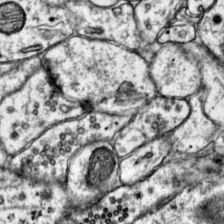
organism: Mouse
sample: Primary visual cortex